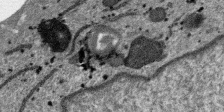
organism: Human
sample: Lung epithelial cells, uninfected (mock) control